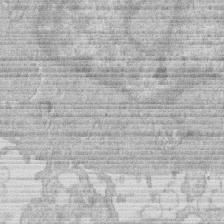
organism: Human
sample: Macrophage cells